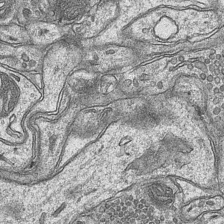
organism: Mouse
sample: CA1 Hippocampus